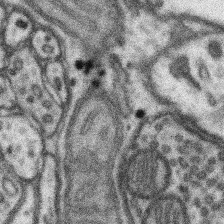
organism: Mouse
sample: Somatosensory cortex neuropil